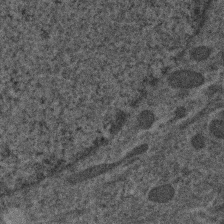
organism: Human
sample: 1205lu cells